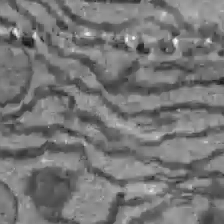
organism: C57BL Mouse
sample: Liver